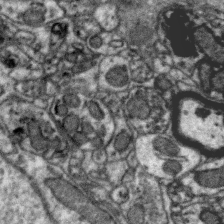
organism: Zebra finch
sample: Brain